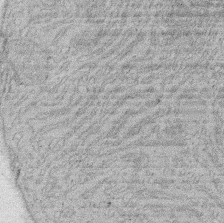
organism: Rat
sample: Salivary granule